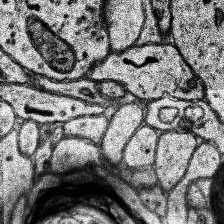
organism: Human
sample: Temporal Lobe